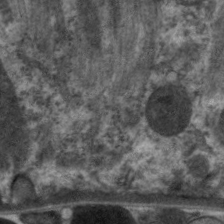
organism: C. elegans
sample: Pharynx